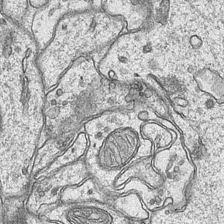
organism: Mouse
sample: CA1 Hippocampus